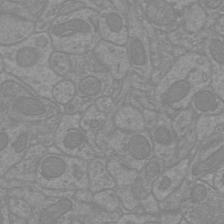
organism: Mouse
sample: Cortical neurons